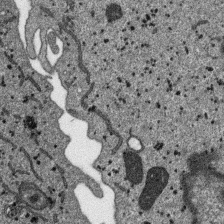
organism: Human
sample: Lung epithelial cells infected with SARS-CoV-2